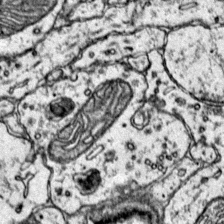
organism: Mouse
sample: Primary visual cortex